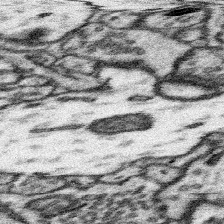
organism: Mouse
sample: Somatosensory cortex neuropil